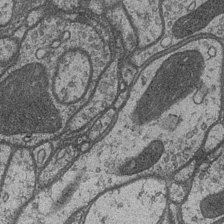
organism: Drosophila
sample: Optic medulla